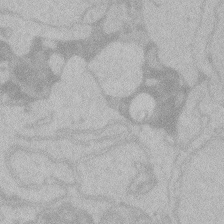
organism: Zebrafish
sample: Macrophage infected with Toxoplasma gondii